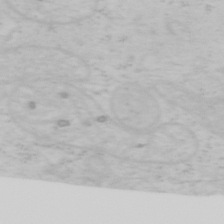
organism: Mouse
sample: OT-I killer T cells with ID8 ovarian cancer cells